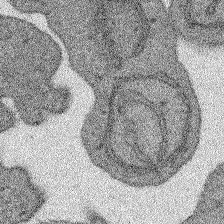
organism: Human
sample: HeLa cells